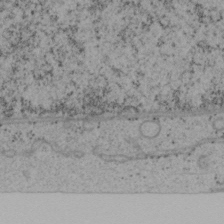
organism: Human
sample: HeLa cells